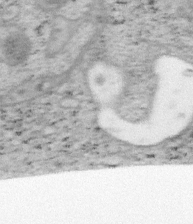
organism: Mouse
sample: OT-I killer T cells with ID8 ovarian cancer cells